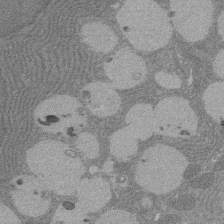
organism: Rat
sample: Salivary granule